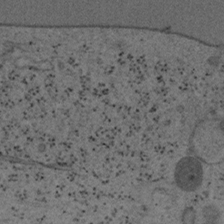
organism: Human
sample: HeLa cells